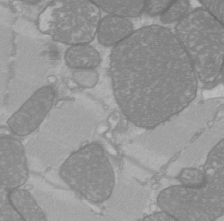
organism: C57BL Mouse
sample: Heart